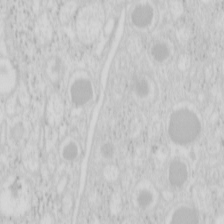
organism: Mouse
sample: Pancreas